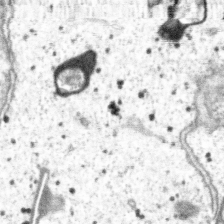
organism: Human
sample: HeLa cells